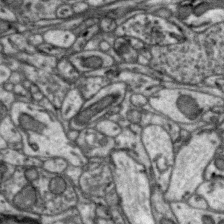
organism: Zebra finch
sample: Brain